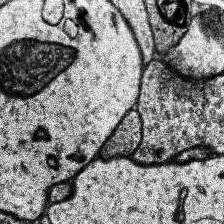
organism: Human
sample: Temporal Lobe